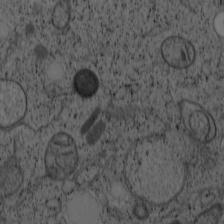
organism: African green monkey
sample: COS-7 cells